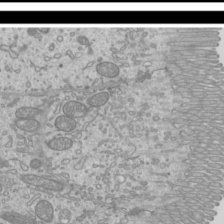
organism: Mouse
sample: Cilia; mouse epididymis